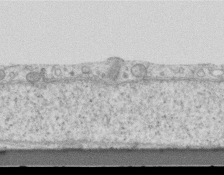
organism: Mouse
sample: Centriole in ependymal cells